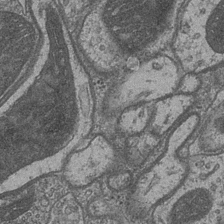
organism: Drosophila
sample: Optic medulla